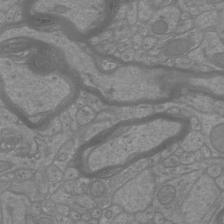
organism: Mouse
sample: Cortical neurons